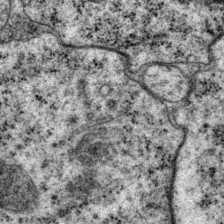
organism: P. pacificus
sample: Pharynx